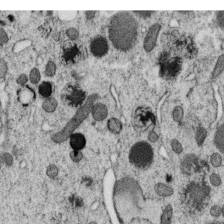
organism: C. elegans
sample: C. elegans oocyte; sperm cells